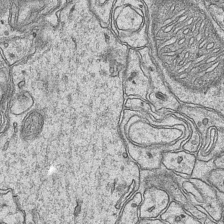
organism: Mouse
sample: CA1 Hippocampus